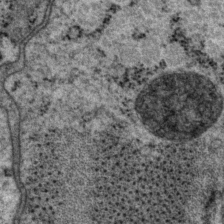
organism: P. pacificus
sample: Pharynx